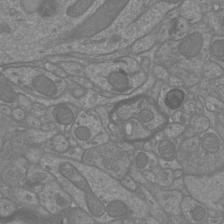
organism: Mouse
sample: Cortical neurons